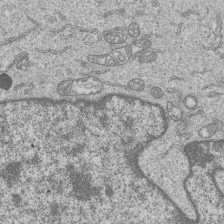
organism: Human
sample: MDA-MB-231 cells